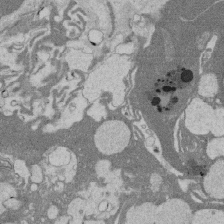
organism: Rat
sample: Salivary granule